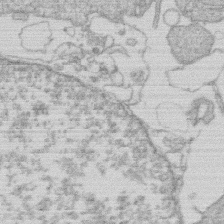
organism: Human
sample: Macrophage cells